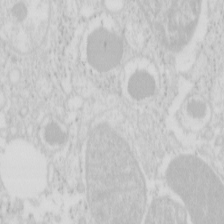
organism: Mouse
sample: Pancreas